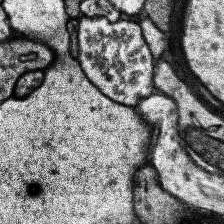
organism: Human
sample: Temporal Lobe